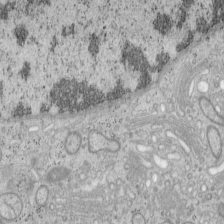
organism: Mouse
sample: OT-I killer T cells with ID8 ovarian cancer cells